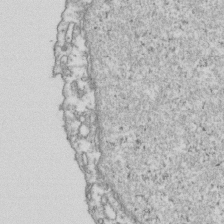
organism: Human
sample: Activated Jurkat CD4+ T cells